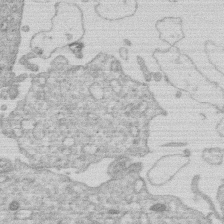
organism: Human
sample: Macrophage cells